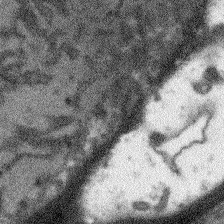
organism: Arabidopsis thaliana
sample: Root tip